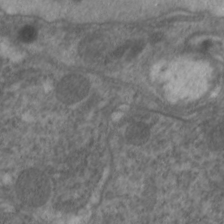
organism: C. elegans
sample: Pharynx